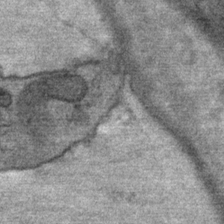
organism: Mouse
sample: Mouse Salivary gland